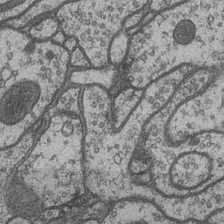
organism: Drosophila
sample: Optic medulla